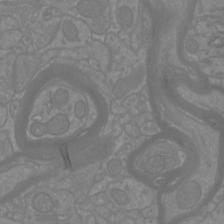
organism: Mouse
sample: Cortical neurons